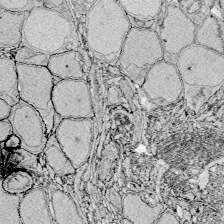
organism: Zebrafish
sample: Whole-Brain